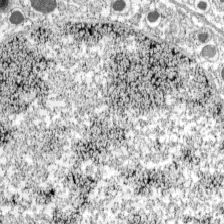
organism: C57BL Mouse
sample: Pancreatic islet